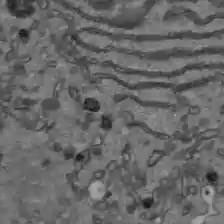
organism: C57BL Mouse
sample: Liver